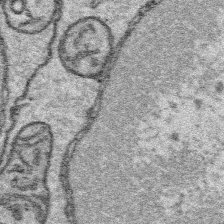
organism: Platynereis dumerilii